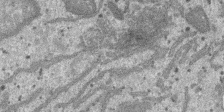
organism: Human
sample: Lung epithelial cells infected with SARS-CoV-2